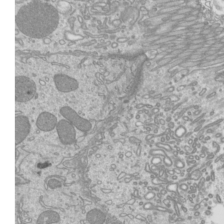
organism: Mouse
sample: Cilia; mouse epididymis